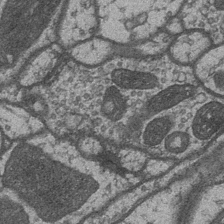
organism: Drosophila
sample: Optic medulla